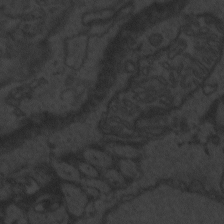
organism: Zebrafish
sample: Macrophage infected with Toxoplasma gondii